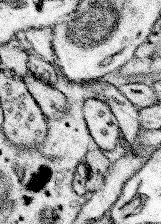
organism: Mouse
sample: Somatosensory cortex neuropil